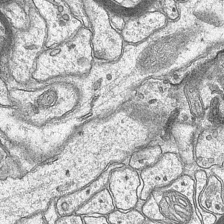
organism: Mouse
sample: CA1 Hippocampus